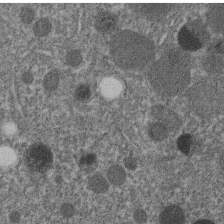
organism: C. elegans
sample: C. elegans embryo early stage